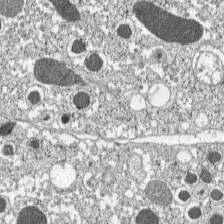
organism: C57BL Mouse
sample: Pancreatic islet